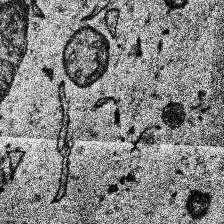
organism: Human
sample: Temporal Lobe